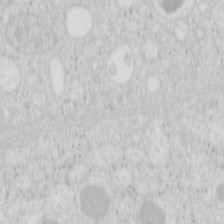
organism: Mouse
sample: Pancreas